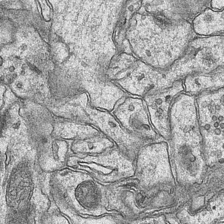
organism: Mouse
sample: CA1 Hippocampus